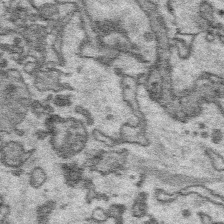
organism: Platynereis dumerilii